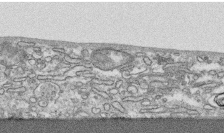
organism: Human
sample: CRL-1474